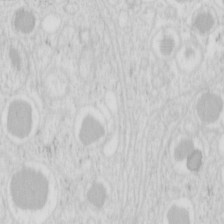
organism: Mouse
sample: Pancreas